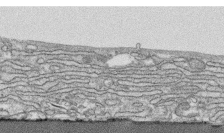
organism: Human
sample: CRL-1474